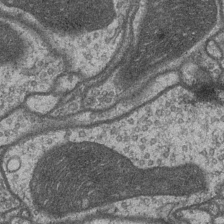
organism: Drosophila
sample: Optic medulla